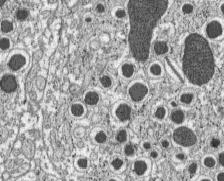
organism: C57BL Mouse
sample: Pancreatic islet